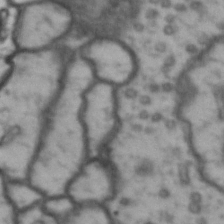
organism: Drosophila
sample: Brain